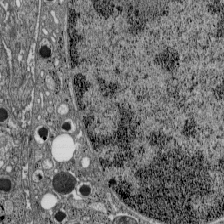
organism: C57BL Mouse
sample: Pancreatic islet